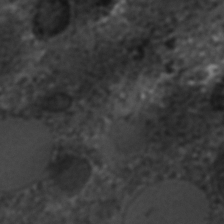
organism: C. elegans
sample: C. elegans embryo